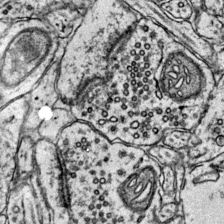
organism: Mouse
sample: Primary visual cortex